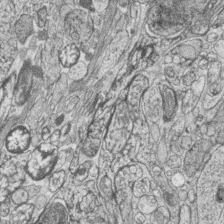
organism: Zebrafish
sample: synaptic ribbons in rod cells and cone cells